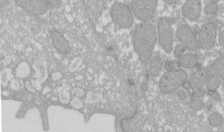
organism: Xenopus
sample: Cilia; centrioles in frog embryo cells